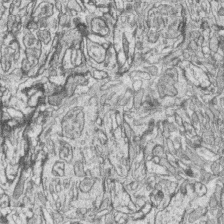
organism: Zebrafish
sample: synaptic ribbons in rod cells and cone cells